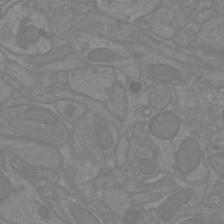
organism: Mouse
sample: Cortical neurons